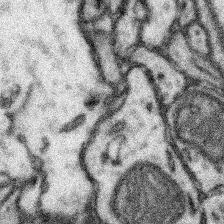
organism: Mouse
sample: Somatosensory cortex neuropil